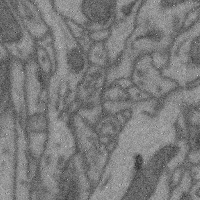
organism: Mouse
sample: Cerebral cortex